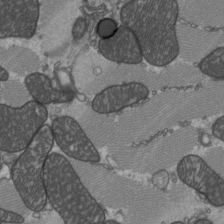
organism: C57BL Mouse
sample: Heart